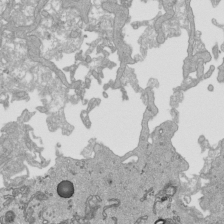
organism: Human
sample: Mitochondria in HCT116 cells